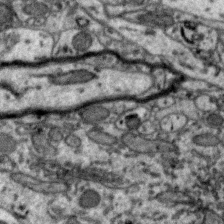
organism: Zebra finch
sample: Brain